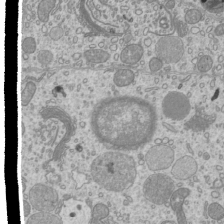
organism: Mouse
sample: Cilia; mouse epididymis